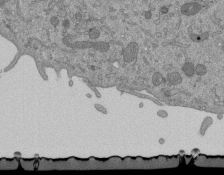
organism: Mouse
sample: ED-1 cell nuclei; centrioles